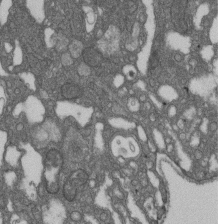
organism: Drosophila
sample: Nephrocyte